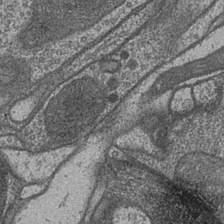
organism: Drosophila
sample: Optic medulla